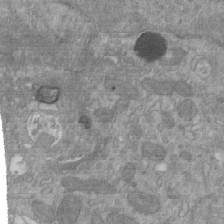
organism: Mouse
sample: ED-1 cell nuclei; centrioles